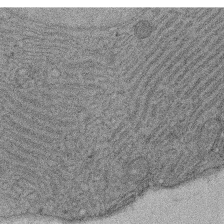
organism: Rat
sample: Salivary granule